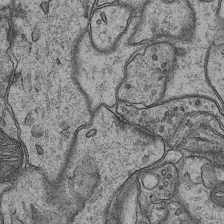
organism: Mouse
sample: CA1 Hippocampus